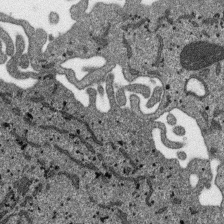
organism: Human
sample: Lung epithelial cells infected with SARS-CoV-2